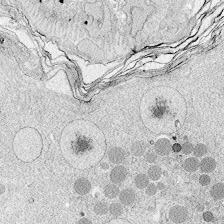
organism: Zebrafish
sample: Whole-Brain